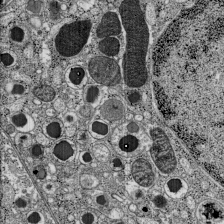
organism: C57BL Mouse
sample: Pancreatic islet